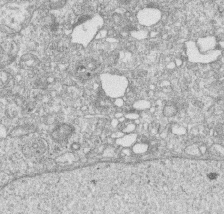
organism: Human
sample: HeLa cell HIV synapse